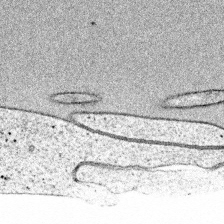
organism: Human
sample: HeLa cells